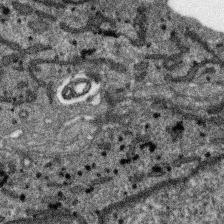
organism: Human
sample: Lung epithelial cells infected with SARS-CoV-2